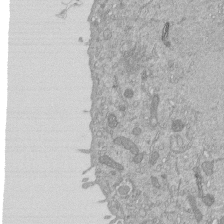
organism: Mouse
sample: ED-1 cell nuclei; centrioles